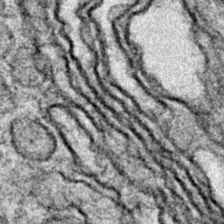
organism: Zebrafish